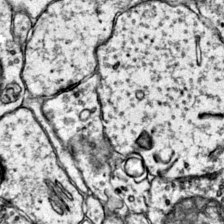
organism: Mouse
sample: Primary visual cortex